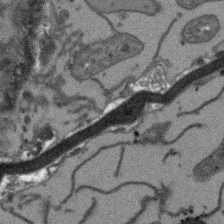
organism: Arabidopsis thaliana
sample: Root tip